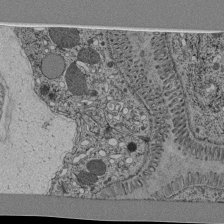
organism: C. elegans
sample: C. elegans pharynx